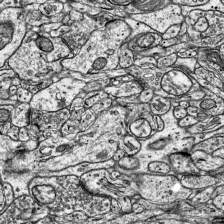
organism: Mouse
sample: Visual Cortex